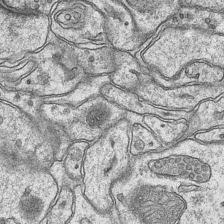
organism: Mouse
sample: CA1 Hippocampus